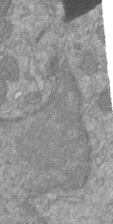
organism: Mouse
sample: ED-1 cell nuclei; centrioles